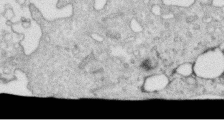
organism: Human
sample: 1205lu cells